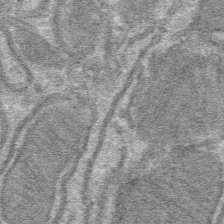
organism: Mouse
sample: Mouse hepatocytes